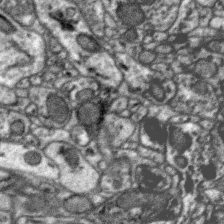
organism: Zebra finch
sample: Brain